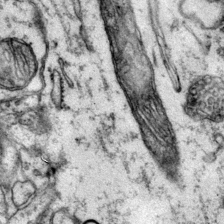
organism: Mouse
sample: Primary visual cortex